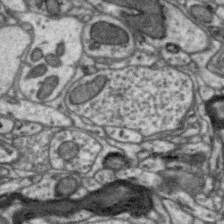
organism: Zebra finch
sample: Brain